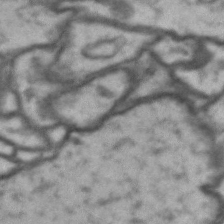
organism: Drosophila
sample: Brain